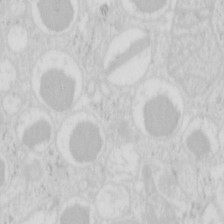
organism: Mouse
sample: Pancreas